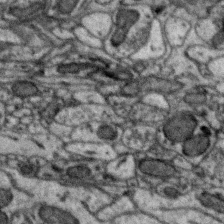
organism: Zebra finch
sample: Brain